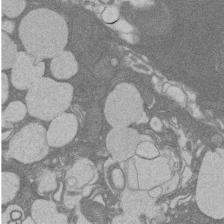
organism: Rat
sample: Salivary granule